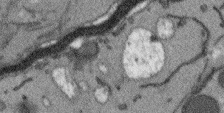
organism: Arabidopsis thaliana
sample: Root tip